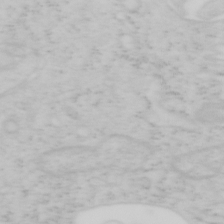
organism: Mouse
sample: OT-I killer T cells with ID8 ovarian cancer cells